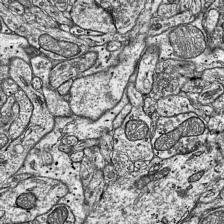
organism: Mouse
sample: Visual Cortex